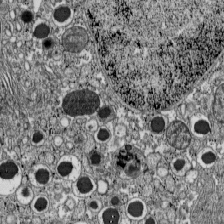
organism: C57BL Mouse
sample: Pancreatic islet